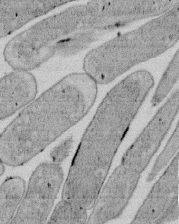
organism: E. coli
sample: Bacterial nucleoid